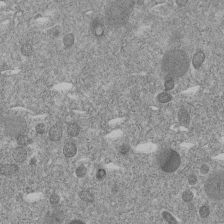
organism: C. elegans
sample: C. elegans embryo early stage